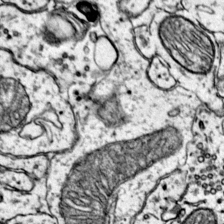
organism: Mouse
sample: Primary visual cortex